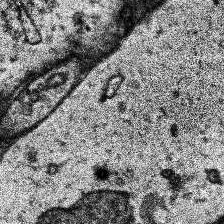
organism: Human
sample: Temporal Lobe